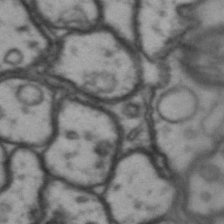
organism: Drosophila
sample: Brain